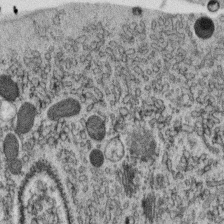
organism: C. elegans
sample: C. elegans oocyte; sperm cells